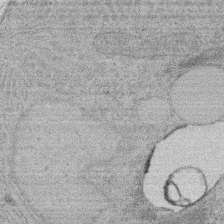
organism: Rat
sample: Salivary granule